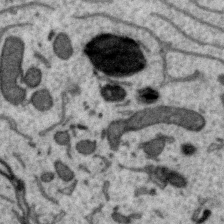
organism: Zebra finch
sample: Brain